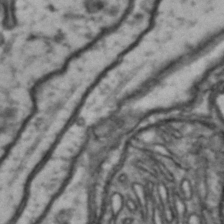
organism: Drosophila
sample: Brain